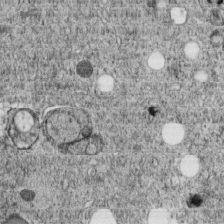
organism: C. elegans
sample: C. elegans embryo early stage